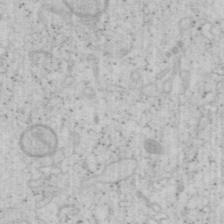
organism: Human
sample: HeLa cells